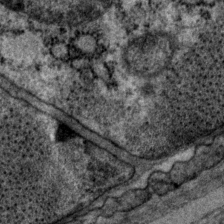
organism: P. pacificus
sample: Pharynx